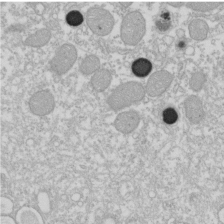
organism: Xenopus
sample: Cilia; centrioles in frog embryo cells